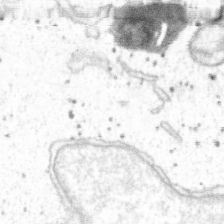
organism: Human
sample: HeLa cells